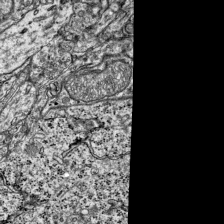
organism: Mouse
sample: Visual Cortex